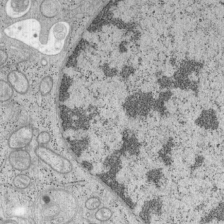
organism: Mouse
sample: OT-I killer T cells with ID8 ovarian cancer cells